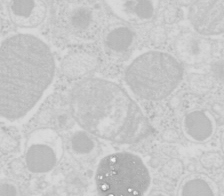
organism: Mouse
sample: Pancreas